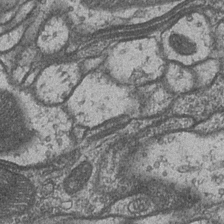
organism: Drosophila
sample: Optic medulla